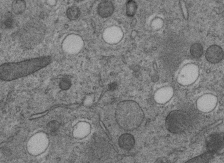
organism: C. elegans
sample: C. elegans embryo early stage